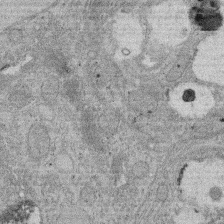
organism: Rat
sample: Salivary granule